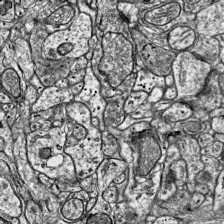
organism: Mouse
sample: Visual Cortex